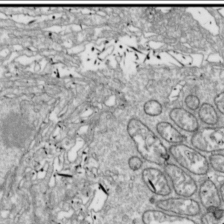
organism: Drosophila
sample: Cell division; meiosis; drosophila spermatocytes